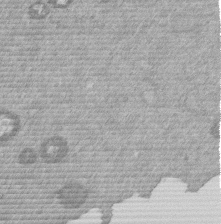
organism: Mouse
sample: Dividing mouse embryo 1 cell stage